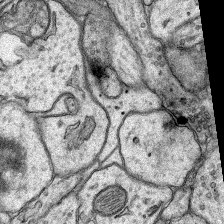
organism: Rat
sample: Hippocampus